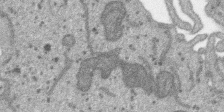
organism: Human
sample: Lung epithelial cells infected with SARS-CoV-2